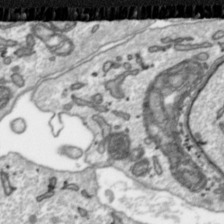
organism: Toxoplasma gondii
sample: Parasites in a vacuole inside a host cell